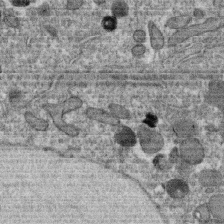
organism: C. elegans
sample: C. elegans oocyte; sperm cells